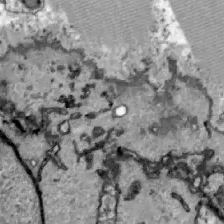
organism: Zebrafish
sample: Actinotrichia fibers